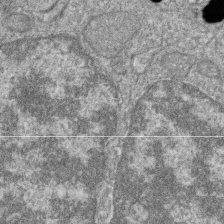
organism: Zebrafish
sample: Cilia; retinal pigment epithelium